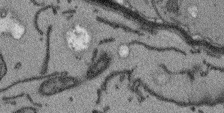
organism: Arabidopsis thaliana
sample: Root tip